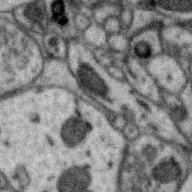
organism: Zebra finch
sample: Brain